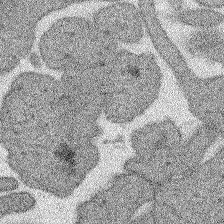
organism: Human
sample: HeLa cells